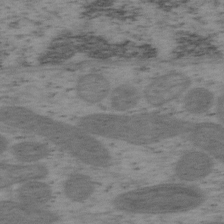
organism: Mouse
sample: OT-I killer T cells with ID8 ovarian cancer cells